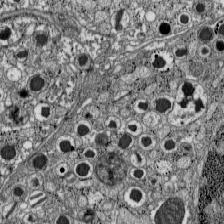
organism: C57BL Mouse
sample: Pancreatic islet